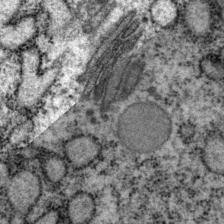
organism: P. pacificus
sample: Pharynx